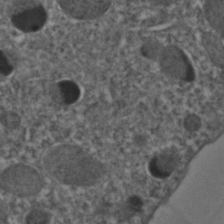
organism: C. elegans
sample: C. elegans embryo